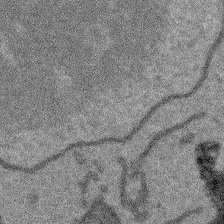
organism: Arabidopsis thaliana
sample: Root tip